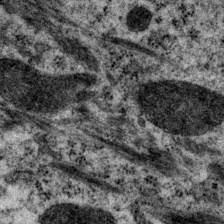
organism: P. pacificus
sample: Pharynx